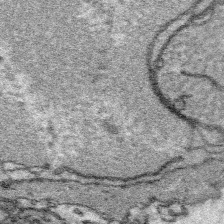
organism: Platynereis dumerilii